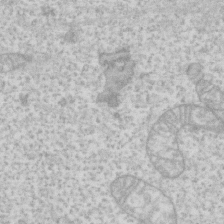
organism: Human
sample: Fibroblast cells